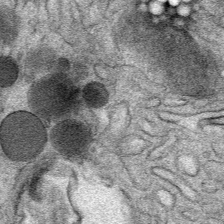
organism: Mouse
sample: Mouse Salivary gland